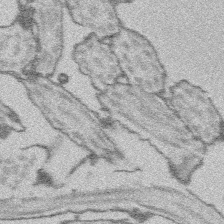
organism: Platynereis dumerilii